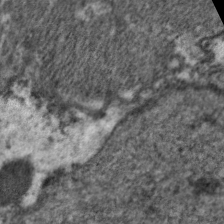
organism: C. elegans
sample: Pharynx